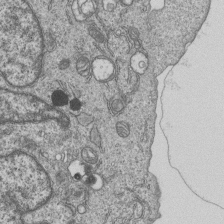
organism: Human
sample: MDA-MB-231 cells